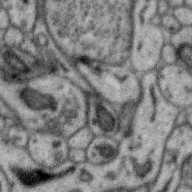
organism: Zebra finch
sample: Brain